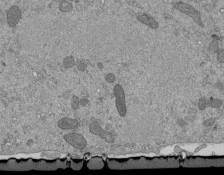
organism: Mouse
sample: ED-1 cell nuclei; centrioles